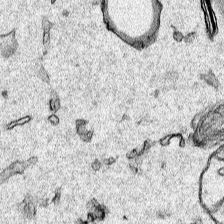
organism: Human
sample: Mitochondria in HCT116 cells